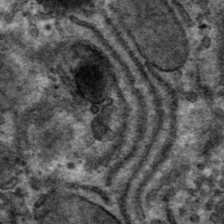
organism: Mouse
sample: Mouse hepatocytes